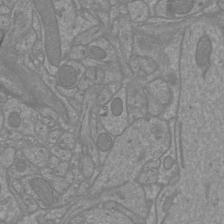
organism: Mouse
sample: Cortical neurons